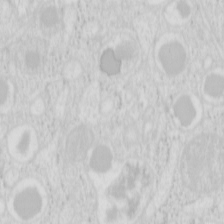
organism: Mouse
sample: Pancreas